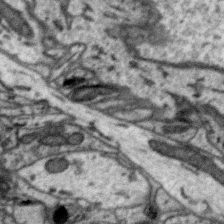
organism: Zebra finch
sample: Brain